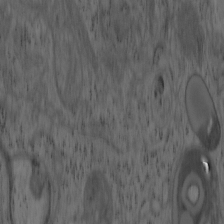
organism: Human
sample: HeLa cells